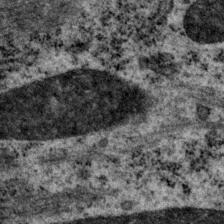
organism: P. pacificus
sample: Pharynx